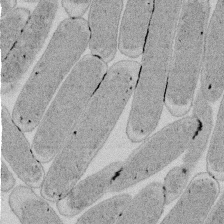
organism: E. coli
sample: Bacterial nucleoid